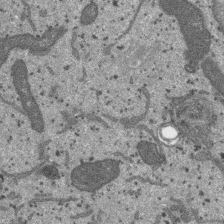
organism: Human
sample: Lung epithelial cells infected with SARS-CoV-2